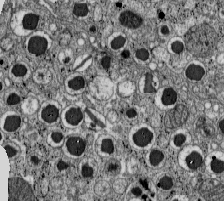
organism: C57BL Mouse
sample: Pancreatic islet